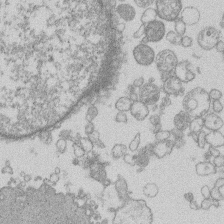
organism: Human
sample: Macrophage cells